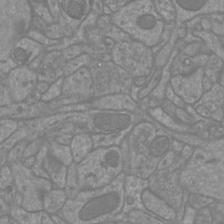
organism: Mouse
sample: Cortical neurons